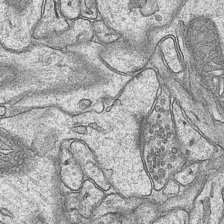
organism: Mouse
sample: CA1 Hippocampus